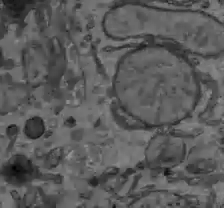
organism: C57BL Mouse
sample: Liver